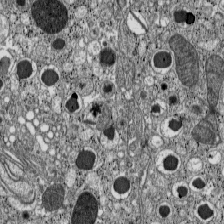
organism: C57BL Mouse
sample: Pancreatic islet